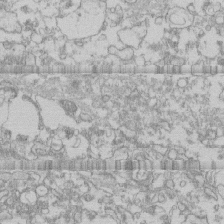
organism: Human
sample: CRL-1474